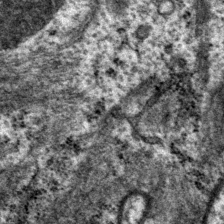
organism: P. pacificus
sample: Pharynx